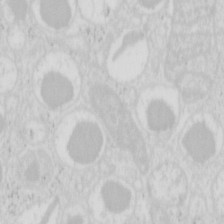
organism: Mouse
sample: Pancreas